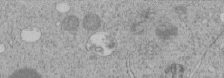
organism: C. elegans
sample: C. elegans embryo early stage